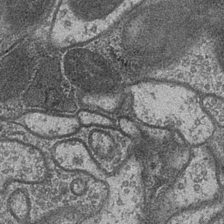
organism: Drosophila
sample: Optic medulla